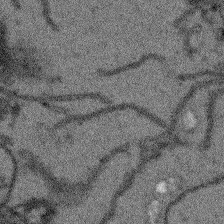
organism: Arabidopsis thaliana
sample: Root tip